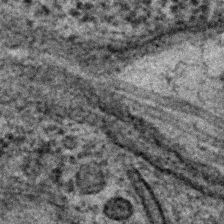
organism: C. elegans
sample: C. elegans embryo